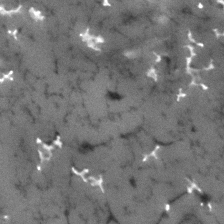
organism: Human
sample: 1205lu cells